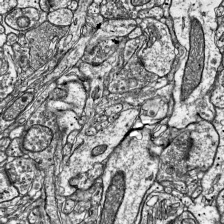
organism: Mouse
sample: Visual Cortex